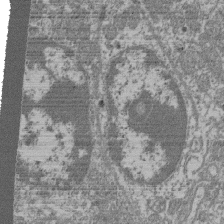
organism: Mouse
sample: Glomerulus